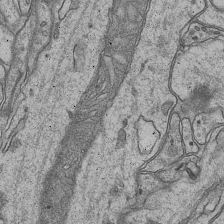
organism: Mouse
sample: CA1 Hippocampus